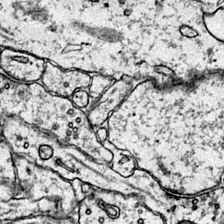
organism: Mouse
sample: Primary visual cortex